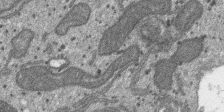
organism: Human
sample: Lung epithelial cells infected with SARS-CoV-2